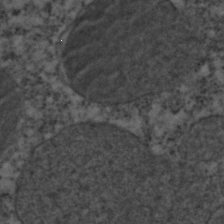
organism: C. elegans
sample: C. elegans embryo